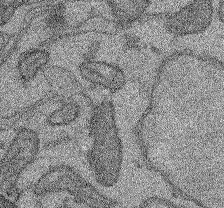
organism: Human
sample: HeLa cells